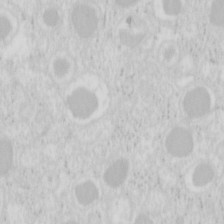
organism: Mouse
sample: Pancreas